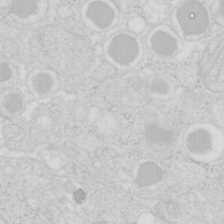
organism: Mouse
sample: Pancreas